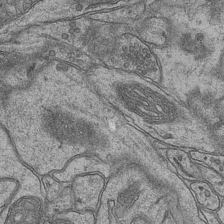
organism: Mouse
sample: CA1 Hippocampus